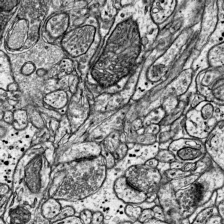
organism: Mouse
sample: Visual Cortex